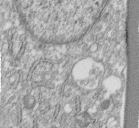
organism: Human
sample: Centriole in fibroblast cells